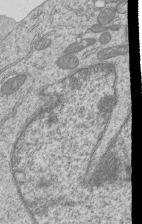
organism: Human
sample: MDA-MB-231 cells